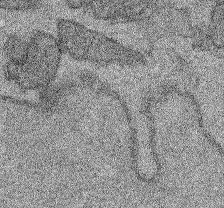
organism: Human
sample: HeLa cells